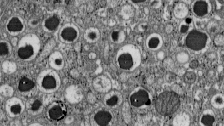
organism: C57BL Mouse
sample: Pancreatic islet